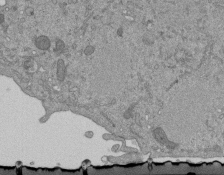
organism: Mouse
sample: ED-1 cell nuclei; centrioles